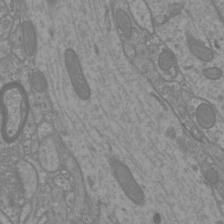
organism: Mouse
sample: Cortical neurons